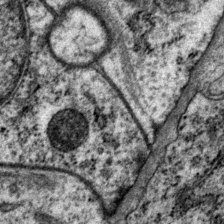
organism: P. pacificus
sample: Pharynx